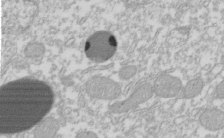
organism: Xenopus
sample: Cilia; centrioles in frog embryo cells